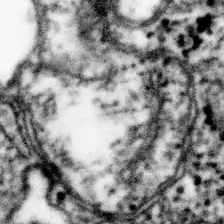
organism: Human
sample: HCT116 cells